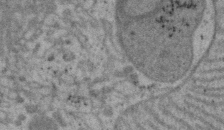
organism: Human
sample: HeLa cells